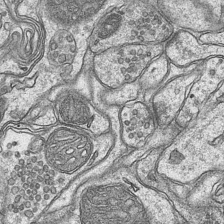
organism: Mouse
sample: CA1 Hippocampus